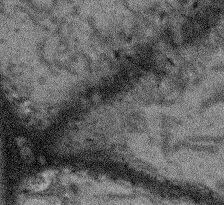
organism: Arabidopsis thaliana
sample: Root tip